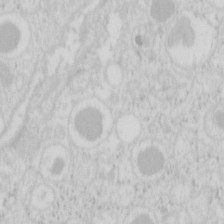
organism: Mouse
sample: Pancreas